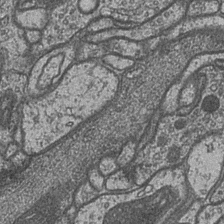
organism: Drosophila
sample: Optic medulla